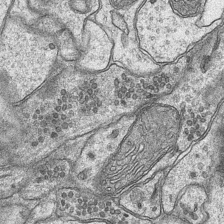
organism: Mouse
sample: CA1 Hippocampus